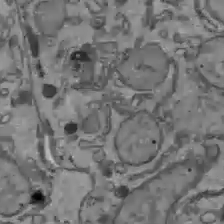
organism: C57BL Mouse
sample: Liver